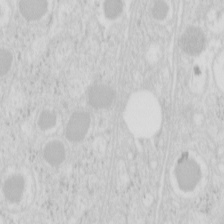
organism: Mouse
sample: Pancreas